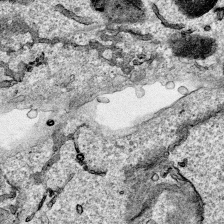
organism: Human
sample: Mitochondria in HCT116 cells